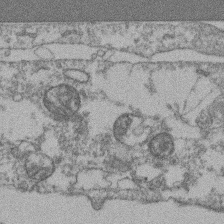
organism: Mouse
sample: T cell stromal cell synapse